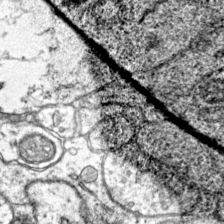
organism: Mouse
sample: Primary visual cortex